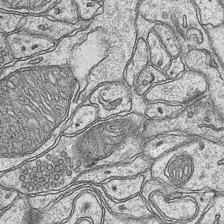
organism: Mouse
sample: CA1 Hippocampus